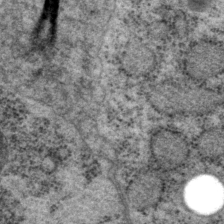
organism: P. pacificus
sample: Pharynx